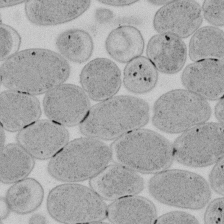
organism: E. coli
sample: Bacterial nucleoid